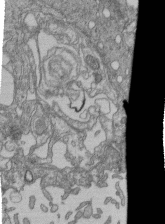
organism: Human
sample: Retinal organoid Rod and Cone cells